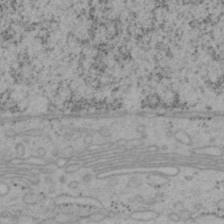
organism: Human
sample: HeLa cells